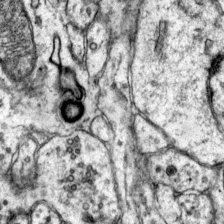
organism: Mouse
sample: Primary visual cortex